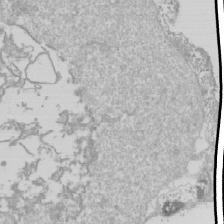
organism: Drosophila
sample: Cell division; meiosis; drosophila spermatocytes